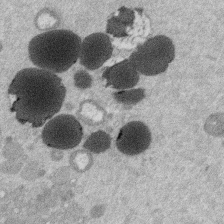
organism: Mouse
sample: Dividing mouse embryo 1 cell stage